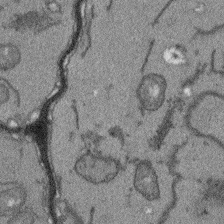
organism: Arabidopsis thaliana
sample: Root tip